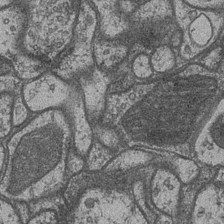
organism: Drosophila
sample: Optic medulla